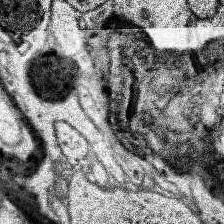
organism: Human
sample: Temporal Lobe